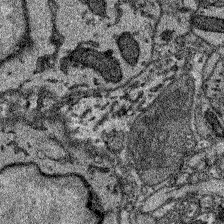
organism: Zebrafish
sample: Larval olfactory bulb